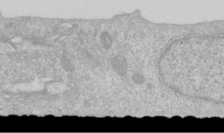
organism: Human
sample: Centriole in RPE cells